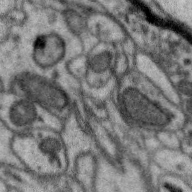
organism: Zebra finch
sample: Brain